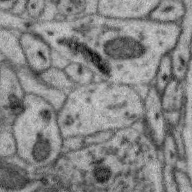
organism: Zebra finch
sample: Brain